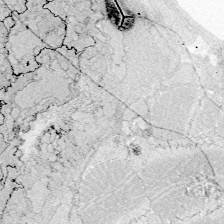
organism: Zebrafish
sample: Whole-Brain